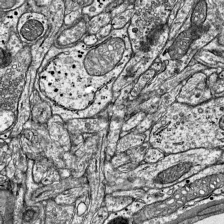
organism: Mouse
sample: Visual Cortex